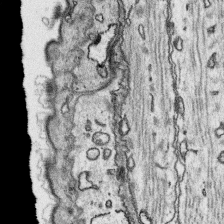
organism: Platynereis dumerilii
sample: Parapodia